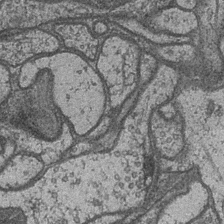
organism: Drosophila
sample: Optic medulla